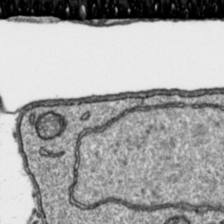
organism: Toxoplasma gondii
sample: Parasites in a vacuole inside a host cell